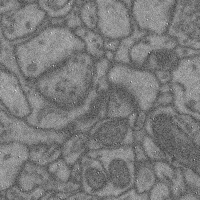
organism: Mouse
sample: Cerebral cortex